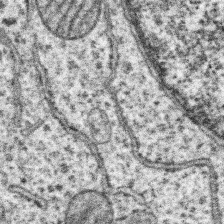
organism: Human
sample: HeLa cells